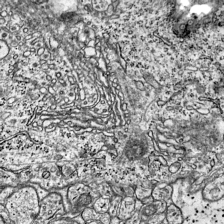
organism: Mouse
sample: Visual Cortex